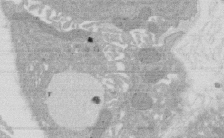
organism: Rat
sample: Salivary granule